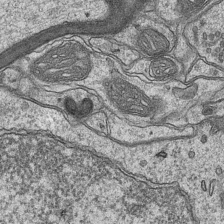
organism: Mouse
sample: CA1 Hippocampus